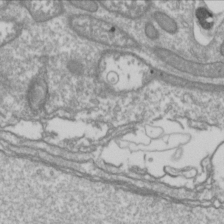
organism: Drosophila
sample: Cell division; meiosis; drosophila spermatocytes